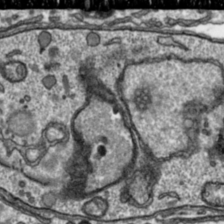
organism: Toxoplasma gondii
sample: Parasites in a vacuole inside a host cell